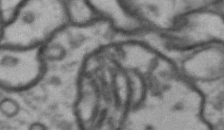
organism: Drosophila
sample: Brain